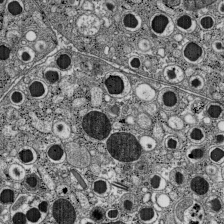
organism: C57BL Mouse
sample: Pancreatic islet